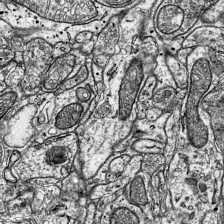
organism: Mouse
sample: Visual Cortex